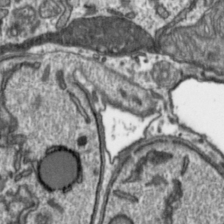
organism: Toxoplasma gondii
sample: Parasites in a vacuole inside a host cell